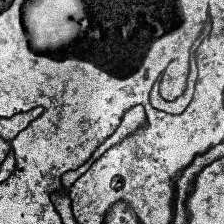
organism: Human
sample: Temporal Lobe